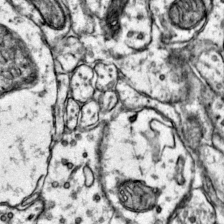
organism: Mouse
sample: Primary visual cortex